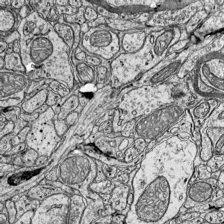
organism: Mouse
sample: Visual Cortex